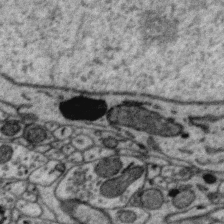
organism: Zebra finch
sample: Brain